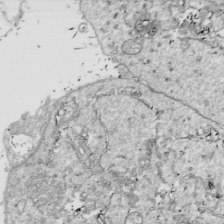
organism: Drosophila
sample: Cell division; meiosis; drosophila spermatocytes